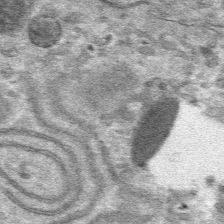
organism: Mouse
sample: Mouse hepatocytes